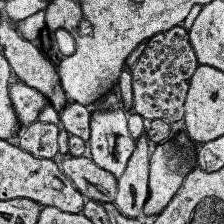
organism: Human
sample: Temporal Lobe